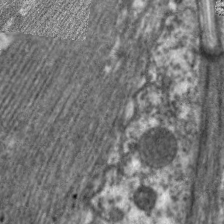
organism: C. elegans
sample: Pharynx